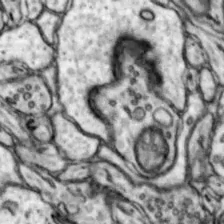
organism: Mouse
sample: Nucleus accumbens